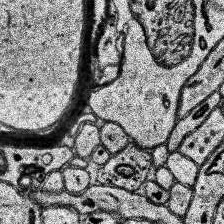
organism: Human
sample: Temporal Lobe